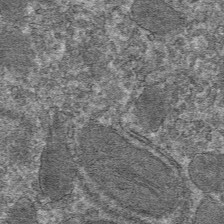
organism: Mouse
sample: Mouse hepatocytes